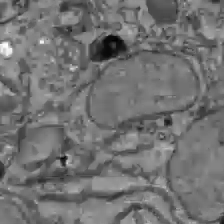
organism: C57BL Mouse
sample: Liver